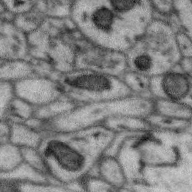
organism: Zebra finch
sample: Brain